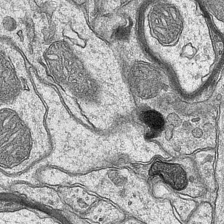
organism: Mouse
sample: CA1 Hippocampus